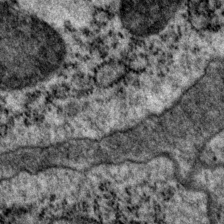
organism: P. pacificus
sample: Pharynx